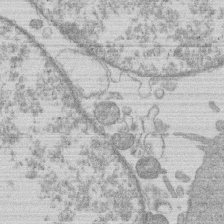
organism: Human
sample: Macrophage cells